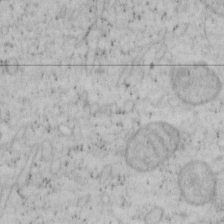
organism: Human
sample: HeLa cells